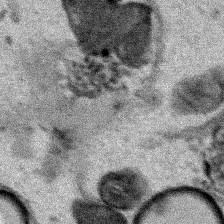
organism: Human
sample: Mitochondria in HCT116 cells